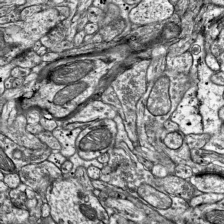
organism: Mouse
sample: Visual Cortex